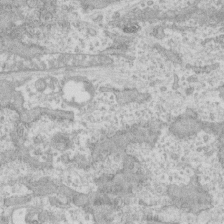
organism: Human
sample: CRL-1474